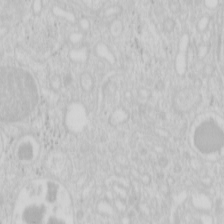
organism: Mouse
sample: Pancreas